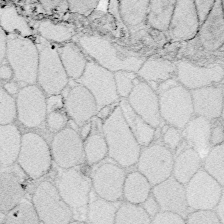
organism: Zebrafish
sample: Whole-Brain